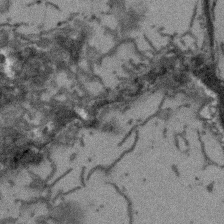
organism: Arabidopsis thaliana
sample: Root tip